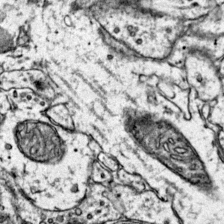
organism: Mouse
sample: Primary visual cortex